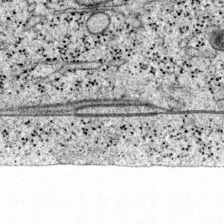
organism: Human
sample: HeLa cells